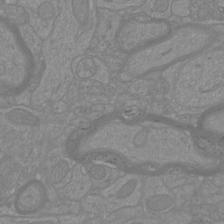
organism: Mouse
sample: Cortical neurons